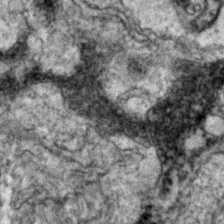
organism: Zebrafish